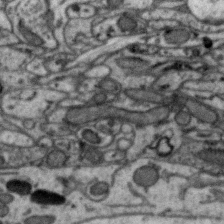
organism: Zebra finch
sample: Brain